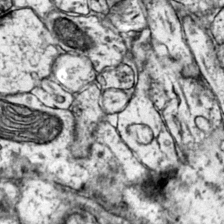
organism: Mouse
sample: Primary visual cortex